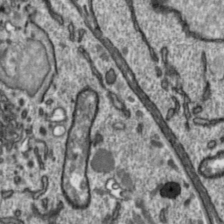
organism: Toxoplasma gondii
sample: Parasites in a vacuole inside a host cell